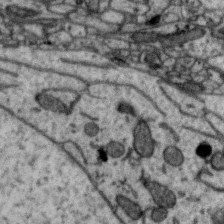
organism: Zebra finch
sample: Brain